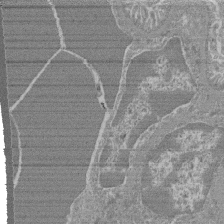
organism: Mouse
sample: Glomerulus